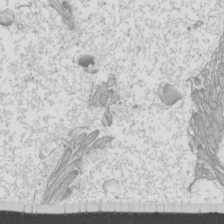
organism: Mouse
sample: Cilia; mouse epididymis